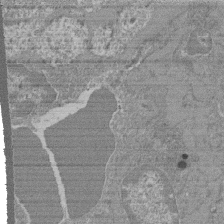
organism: Mouse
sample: Glomerulus